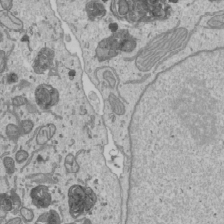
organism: Human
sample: Mitochondria in U2OS cells